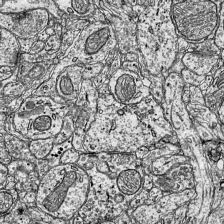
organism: Mouse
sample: Visual Cortex